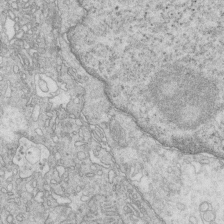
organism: Mouse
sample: Multiciliated cells